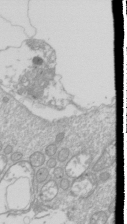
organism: Drosophila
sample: Cell division; meiosis; drosophila spermatocytes